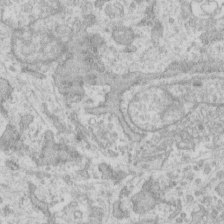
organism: Human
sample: Fibroblast cells